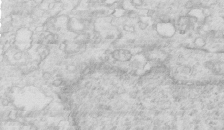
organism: Mouse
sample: Multiciliated cells